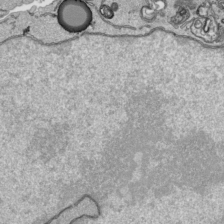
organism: Human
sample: Mitochondria in HCT116 cells